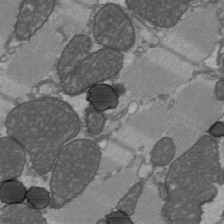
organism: C57BL Mouse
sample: Heart